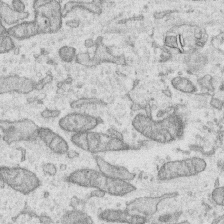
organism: Human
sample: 1205lu cells